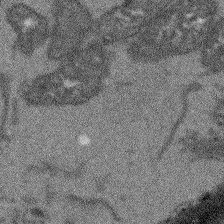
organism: Arabidopsis thaliana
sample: Root tip